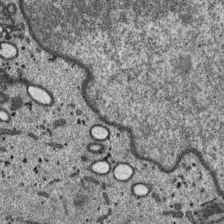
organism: Human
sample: Lung epithelial cells infected with SARS-CoV-2